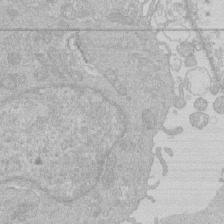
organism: Human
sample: Macrophage cells